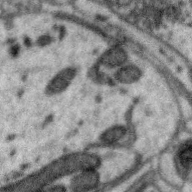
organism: Zebra finch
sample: Brain